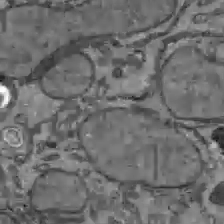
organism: C57BL Mouse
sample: Liver